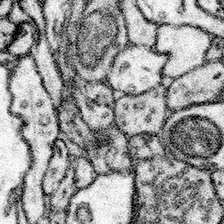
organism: Mouse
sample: Somatosensory cortex neuropil